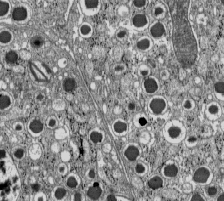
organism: C57BL Mouse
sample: Pancreatic islet